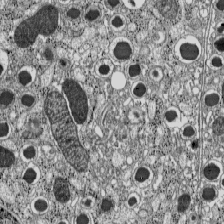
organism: C57BL Mouse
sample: Pancreatic islet